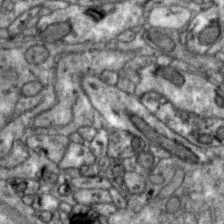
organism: Zebra finch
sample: Brain